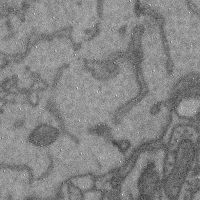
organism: Mouse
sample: Cerebral cortex